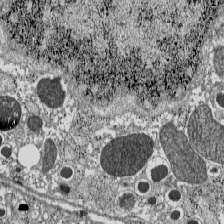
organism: C57BL Mouse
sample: Pancreatic islet